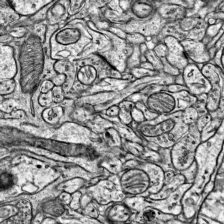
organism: Mouse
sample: Visual Cortex